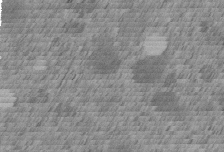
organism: C. elegans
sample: C. elegans embryo early stage